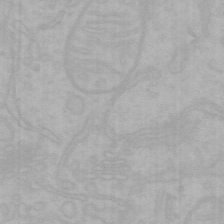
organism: Mouse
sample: Choroid plexus